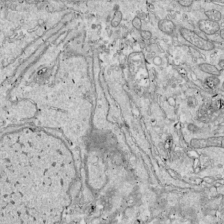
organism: Drosophila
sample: Cell division; meiosis; drosophila spermatocytes